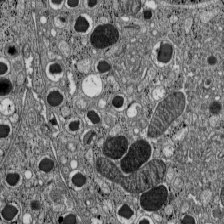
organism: C57BL Mouse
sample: Pancreatic islet